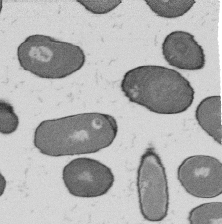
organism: B. subtilis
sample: Bacterial spore